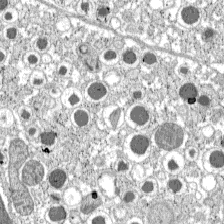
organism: C57BL Mouse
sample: Pancreatic islet